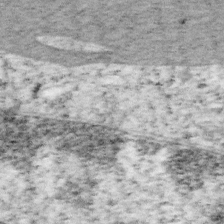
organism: Mouse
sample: OT-I killer T cells with ID8 ovarian cancer cells